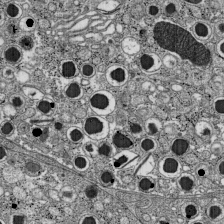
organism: C57BL Mouse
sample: Pancreatic islet